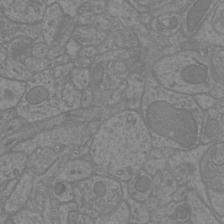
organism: Mouse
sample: Cortical neurons